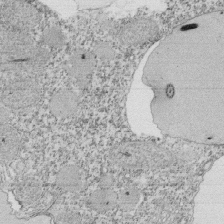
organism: Tetrahymena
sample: Cilia in tetrahymena